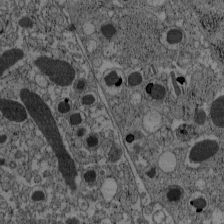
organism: C57BL Mouse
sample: Pancreatic islet